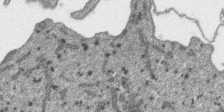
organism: Human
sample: Lung epithelial cells infected with SARS-CoV-2